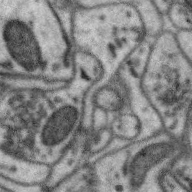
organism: Zebra finch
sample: Brain